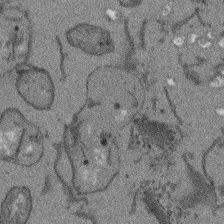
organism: Arabidopsis thaliana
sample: Root tip